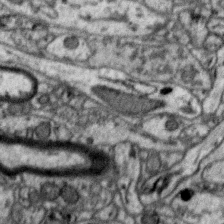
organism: Zebra finch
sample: Brain